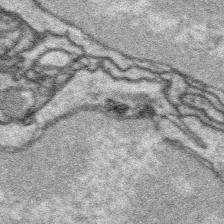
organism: Platynereis dumerilii